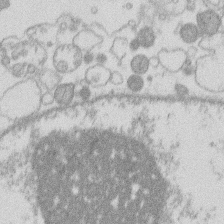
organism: Human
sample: Macrophage cells